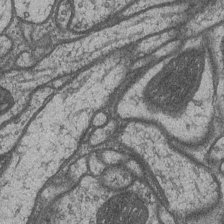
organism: Drosophila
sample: Optic medulla